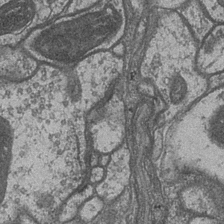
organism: Drosophila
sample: Optic medulla